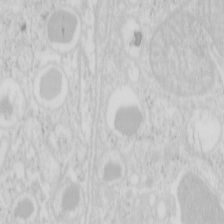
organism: Mouse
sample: Pancreas